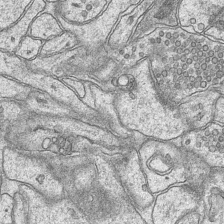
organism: Mouse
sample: CA1 Hippocampus